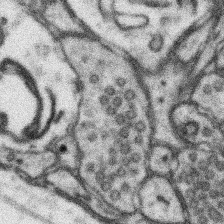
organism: Mouse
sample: Somatosensory cortex neuropil